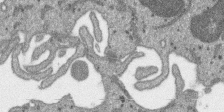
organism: Human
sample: Lung epithelial cells infected with SARS-CoV-2